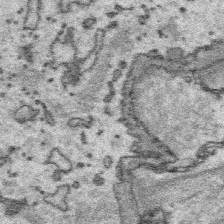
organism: Platynereis dumerilii